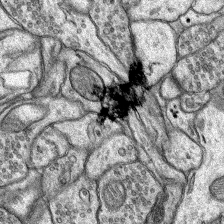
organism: Rat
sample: Hippocampus